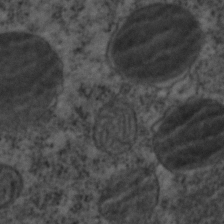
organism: C. elegans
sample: C. elegans embryo